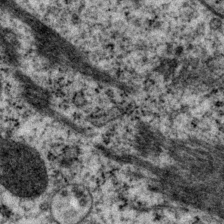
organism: P. pacificus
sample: Pharynx